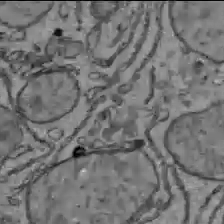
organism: C57BL Mouse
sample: Liver